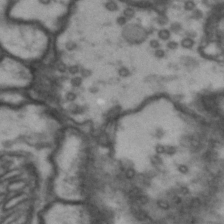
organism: Drosophila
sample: Brain